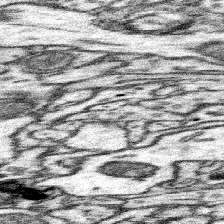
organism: Mouse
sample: Somatosensory cortex neuropil